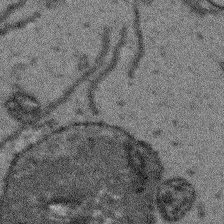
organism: Arabidopsis thaliana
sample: Root tip